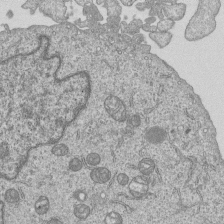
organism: Human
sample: MDA-MB-231 cells